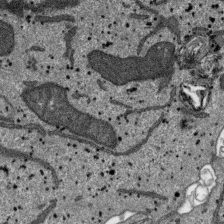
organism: Human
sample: Lung epithelial cells, uninfected (mock) control